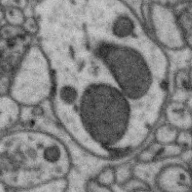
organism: Zebra finch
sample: Brain